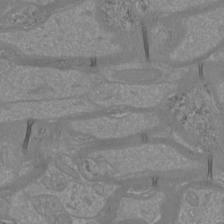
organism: Mouse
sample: Cortical neurons